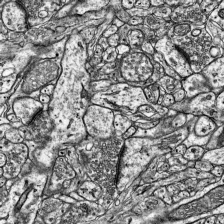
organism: Mouse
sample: Visual Cortex